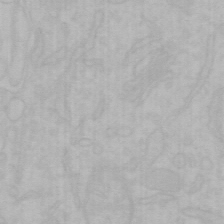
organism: Mouse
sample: Choroid plexus